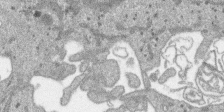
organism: Human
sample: Lung epithelial cells infected with SARS-CoV-2